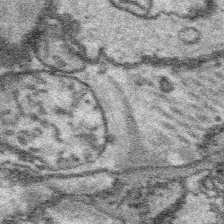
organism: Platynereis dumerilii